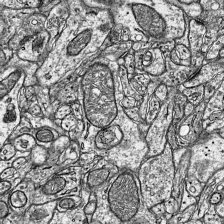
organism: Mouse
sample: Visual Cortex